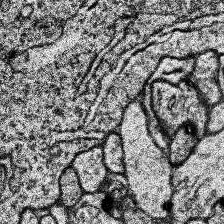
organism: Human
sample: Temporal Lobe